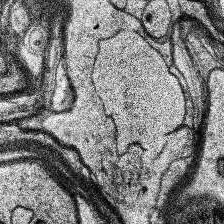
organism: Human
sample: Temporal Lobe